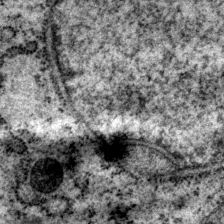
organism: P. pacificus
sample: Pharynx